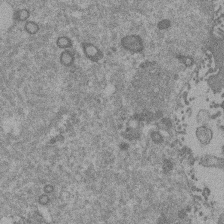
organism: Mouse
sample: Dividing mouse embryo 1 cell stage